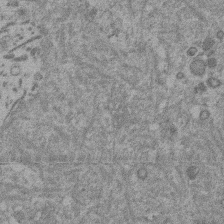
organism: Mouse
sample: Dividing mouse embryo 1 cell stage